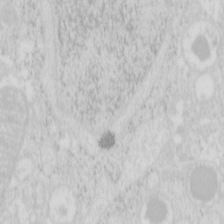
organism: Mouse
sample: Pancreas